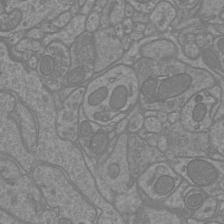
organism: Mouse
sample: Cortical neurons